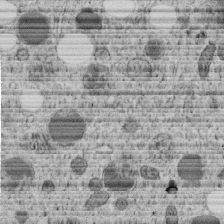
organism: C. elegans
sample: C. elegans embryo early stage